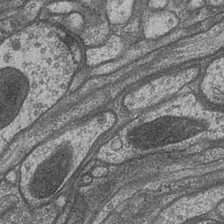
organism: Drosophila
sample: Optic medulla